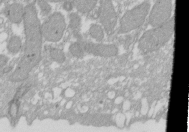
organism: Xenopus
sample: Cilia; centrioles in frog embryo cells